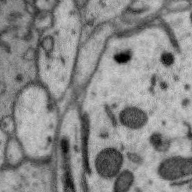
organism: Zebra finch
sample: Brain